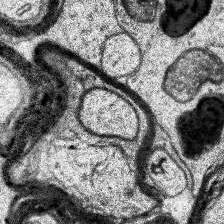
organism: Human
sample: Temporal Lobe